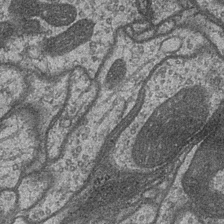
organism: Drosophila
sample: Optic medulla